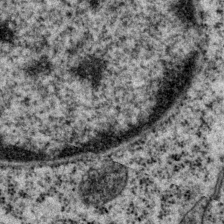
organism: P. pacificus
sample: Pharynx